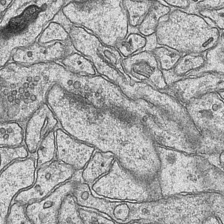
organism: Mouse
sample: CA1 Hippocampus